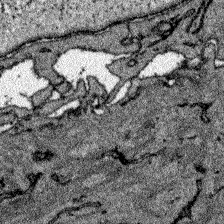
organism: Zebrafish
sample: Larval olfactory bulb